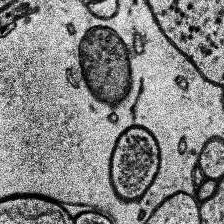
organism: Human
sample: Temporal Lobe